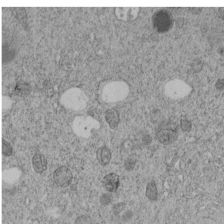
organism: C. elegans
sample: C. elegans embryo early stage